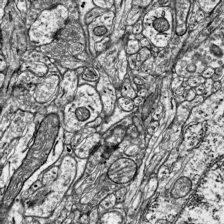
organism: Mouse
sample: Visual Cortex